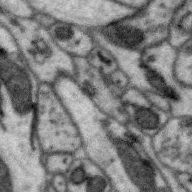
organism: Zebra finch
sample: Brain